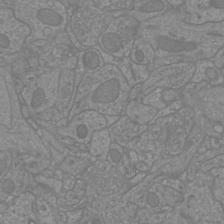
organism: Mouse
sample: Cortical neurons